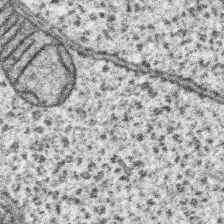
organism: Human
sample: HeLa cells